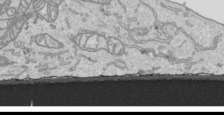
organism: Human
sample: Mitochondria in HCT116 cells